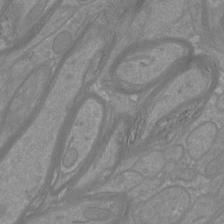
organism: Mouse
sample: Cortical neurons